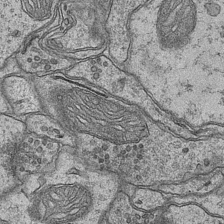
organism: Mouse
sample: CA1 Hippocampus